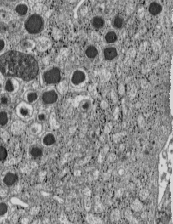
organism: C57BL Mouse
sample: Pancreatic islet